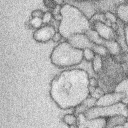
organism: Rabbit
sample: Retina